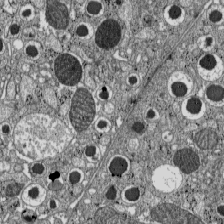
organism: C57BL Mouse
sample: Pancreatic islet